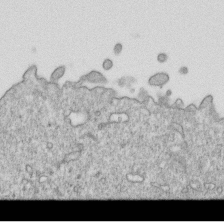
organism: Mouse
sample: Activated OT-1 CD8+ T cells